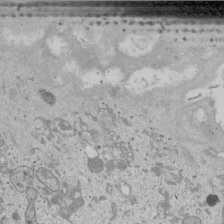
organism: Human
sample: Mitochondria in U2OS cells